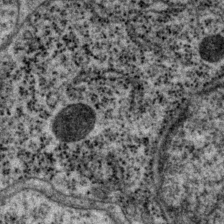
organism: P. pacificus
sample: Pharynx